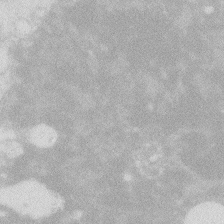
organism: Zebrafish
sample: Macrophage